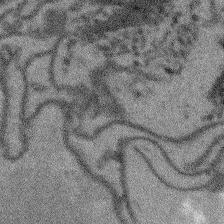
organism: Arabidopsis thaliana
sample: Root tip